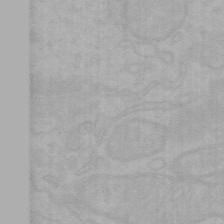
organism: Mouse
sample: Choroid plexus